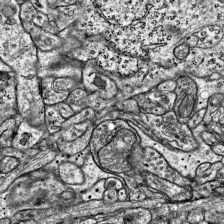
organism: Mouse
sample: Visual Cortex